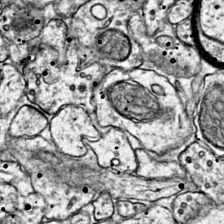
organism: Mouse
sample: Primary visual cortex